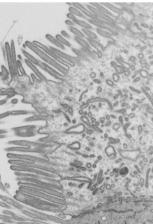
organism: Mouse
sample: Mouse epididymis efferent ductule cilia